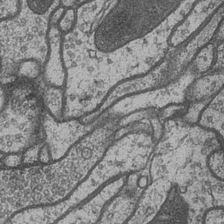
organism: Drosophila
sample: Optic medulla